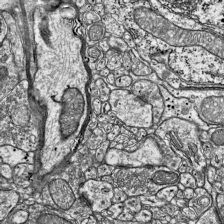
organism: Mouse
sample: Visual Cortex